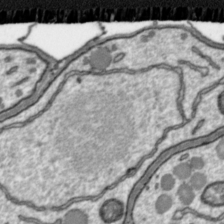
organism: Toxoplasma gondii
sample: Parasites in a vacuole inside a host cell